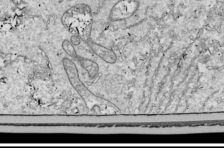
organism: Drosophila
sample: Cell division; meiosis; drosophila spermatocytes